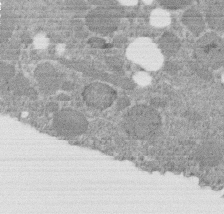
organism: C. elegans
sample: C. elegans embryo early stage